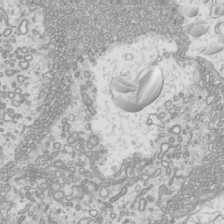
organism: Mouse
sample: Cilia; mouse epididymis